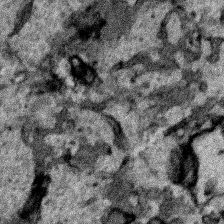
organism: Human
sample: Mitochondria in HCT116 cells